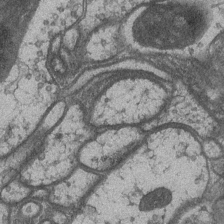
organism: Drosophila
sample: Optic medulla